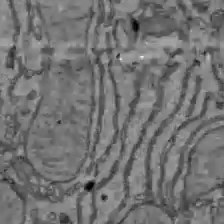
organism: C57BL Mouse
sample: Liver